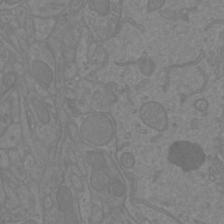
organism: Mouse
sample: Cortical neurons